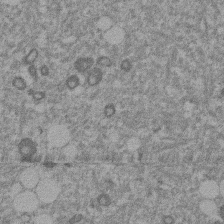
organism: Mouse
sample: Dividing mouse embryo 1 cell stage